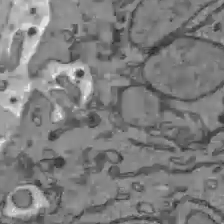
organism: C57BL Mouse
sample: Liver